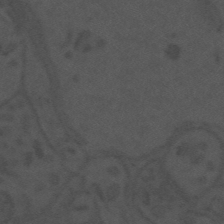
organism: Mouse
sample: Suprachiasmatic nucleus